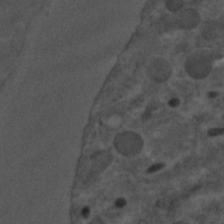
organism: C. elegans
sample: C. elegans embryo